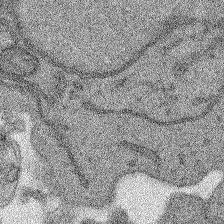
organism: Human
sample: HeLa cells